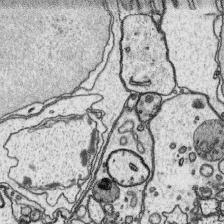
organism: Platynereis dumerilii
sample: Parapodia